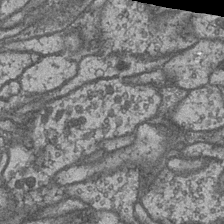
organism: Drosophila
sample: Optic medulla